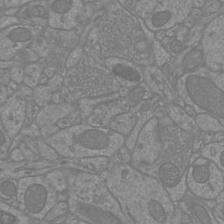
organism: Mouse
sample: Cortical neurons